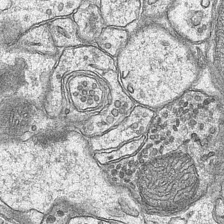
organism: Mouse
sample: CA1 Hippocampus